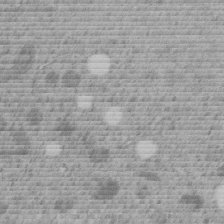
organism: C. elegans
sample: C. elegans embryo early stage